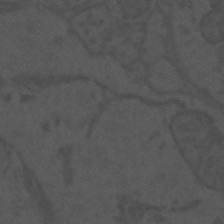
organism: Mouse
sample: Suprachiasmatic nucleus